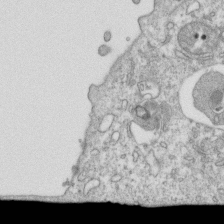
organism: Mouse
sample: Activated OT-1 CD8+ T cells